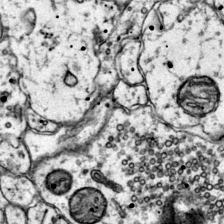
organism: Mouse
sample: Primary visual cortex